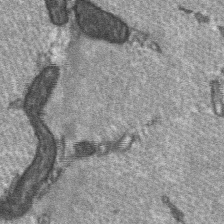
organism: C57BL Mouse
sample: Soleus